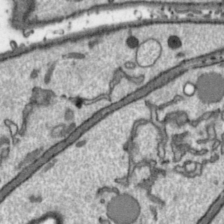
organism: Toxoplasma gondii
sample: Parasites in a vacuole inside a host cell